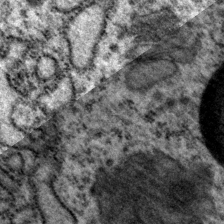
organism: P. pacificus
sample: Pharynx